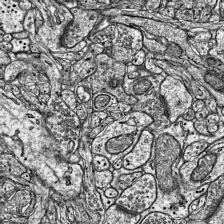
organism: Mouse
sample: Visual Cortex